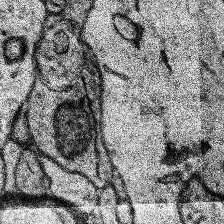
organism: Human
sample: Temporal Lobe